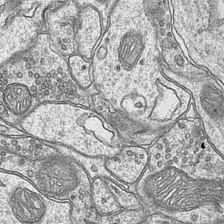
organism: Mouse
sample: CA1 Hippocampus